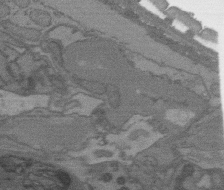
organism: C. elegans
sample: AFD neurons C. elegans